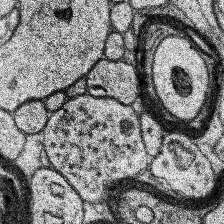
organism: Human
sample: Temporal Lobe